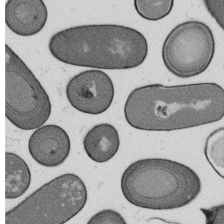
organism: B. subtilis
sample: Bacterial spore